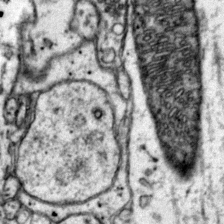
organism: Mouse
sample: Primary visual cortex